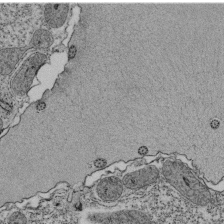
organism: Tetrahymena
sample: Cilia in tetrahymena